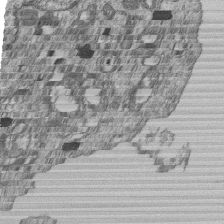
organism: Human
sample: MDA-MB-231 cells